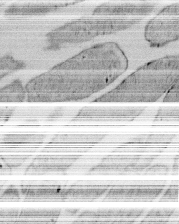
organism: E. coli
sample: Bacterial nucleoid